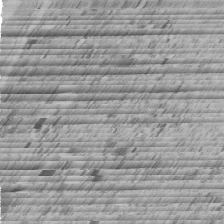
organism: C. elegans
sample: C. elegans embryo early stage